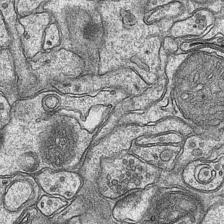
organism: Mouse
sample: CA1 Hippocampus